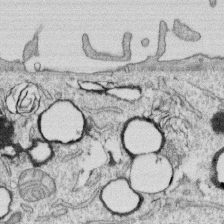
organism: Human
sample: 1205lu cells